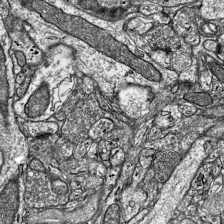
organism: Mouse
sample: Visual Cortex